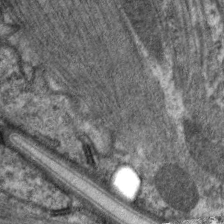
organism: C. elegans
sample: Pharynx